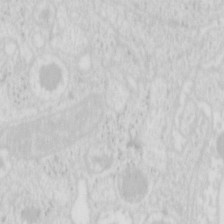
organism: Mouse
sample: Pancreas